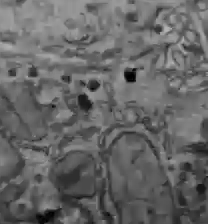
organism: C57BL Mouse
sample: Liver